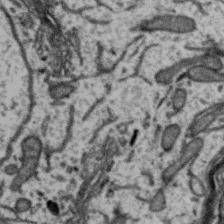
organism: Zebra finch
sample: Brain